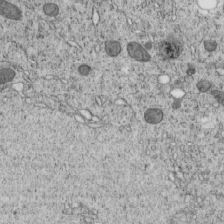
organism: C. elegans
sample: C. elegans embryo early stage